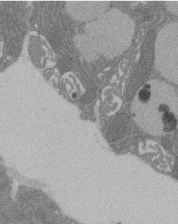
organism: Rat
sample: Salivary granule